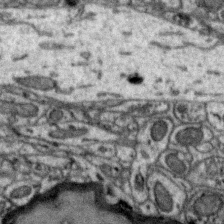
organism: Zebra finch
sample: Brain